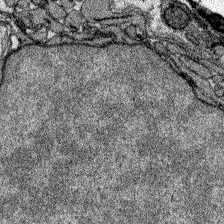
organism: Zebrafish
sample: Larval olfactory bulb